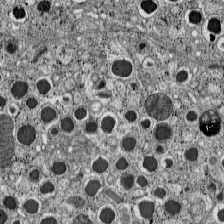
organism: C57BL Mouse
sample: Pancreatic islet